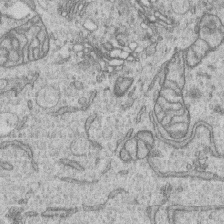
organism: Human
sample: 1205lu cells